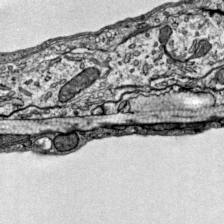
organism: Mouse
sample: Visual Cortex